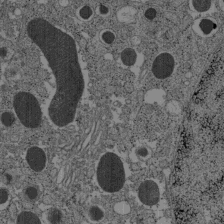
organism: C57BL Mouse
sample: Pancreatic islet